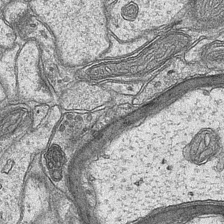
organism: Mouse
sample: CA1 Hippocampus